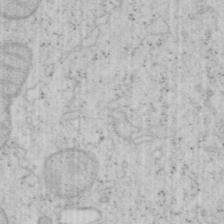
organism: Human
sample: HeLa cells